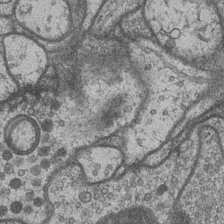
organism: Drosophila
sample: Optic medulla